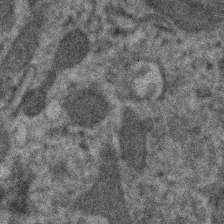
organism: Human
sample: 1205lu cells